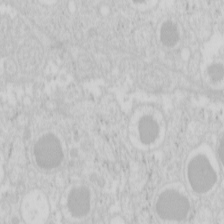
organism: Mouse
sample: Pancreas